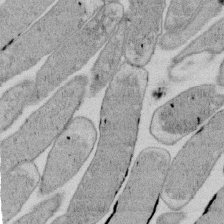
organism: E. coli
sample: Bacterial nucleoid